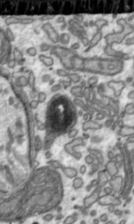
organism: Toxoplasma gondii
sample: Parasites in a vacuole inside a host cell